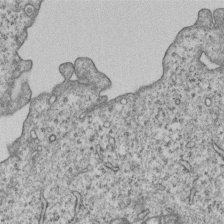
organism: Human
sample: MDA-MB-231 cells